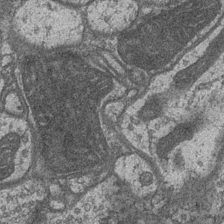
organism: Drosophila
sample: Optic medulla